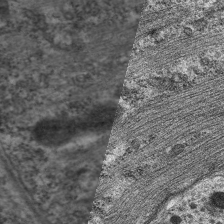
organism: C. elegans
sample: Pharynx